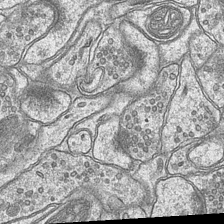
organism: Mouse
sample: CA1 Hippocampus